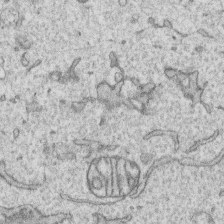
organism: Human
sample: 1205lu cells